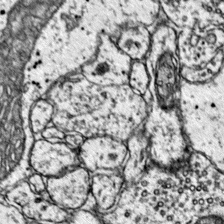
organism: Mouse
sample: Primary visual cortex